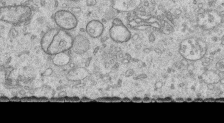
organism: Human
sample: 1205lu cells